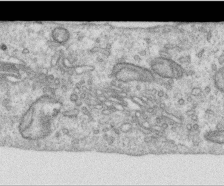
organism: Human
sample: Centriole in RPE cells